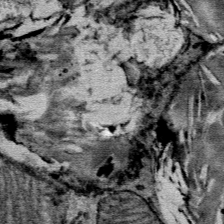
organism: Mouse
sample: Mouse Salivary gland